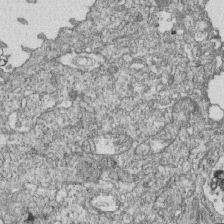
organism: Human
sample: HeLa cell HIV synapse